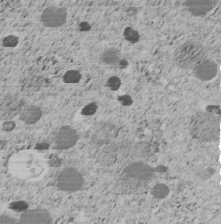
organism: C. elegans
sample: C. elegans embryo early stage